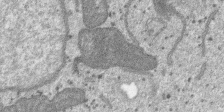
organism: Human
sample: Lung epithelial cells infected with SARS-CoV-2